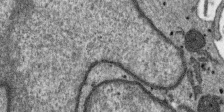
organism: Human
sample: Lung epithelial cells, uninfected (mock) control